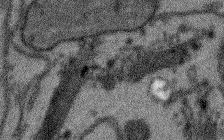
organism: Arabidopsis thaliana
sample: Root tip